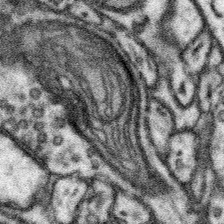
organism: Mouse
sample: Somatosensory cortex neuropil